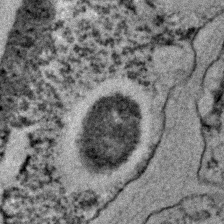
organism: C. elegans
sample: C. elegans embryo